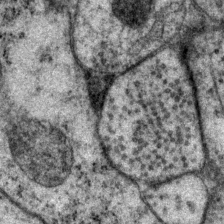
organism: P. pacificus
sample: Pharynx